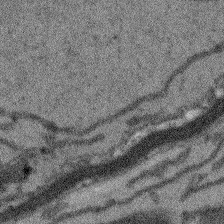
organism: Arabidopsis thaliana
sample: Root tip